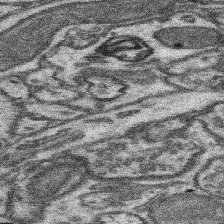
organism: Mouse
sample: Somatosensory cortex neuropil